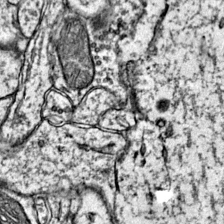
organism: Mouse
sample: Primary visual cortex